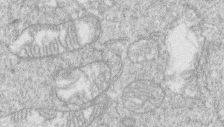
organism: Human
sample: HeLa cell HIV synapse